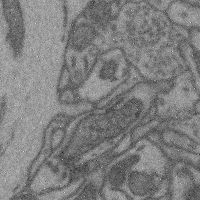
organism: Mouse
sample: Cerebral cortex